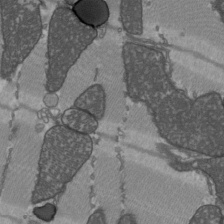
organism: C57BL Mouse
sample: Heart